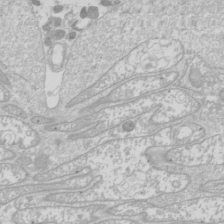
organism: Drosophila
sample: Cell division; meiosis; drosophila spermatocytes